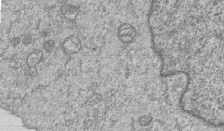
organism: Human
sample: MDA-MB-231 cells